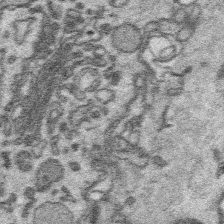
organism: Platynereis dumerilii